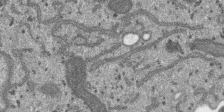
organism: Human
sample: Lung epithelial cells infected with SARS-CoV-2